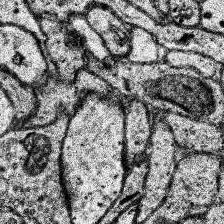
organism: Human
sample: Temporal Lobe